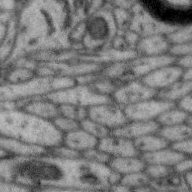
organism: Zebra finch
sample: Brain